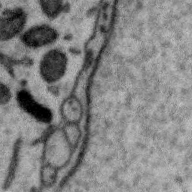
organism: Zebra finch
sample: Brain